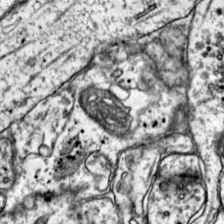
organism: Mouse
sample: Primary visual cortex